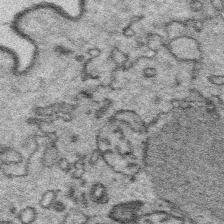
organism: Platynereis dumerilii